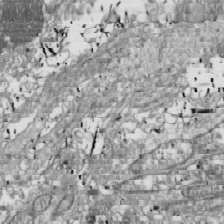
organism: Drosophila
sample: Cell division; meiosis; drosophila spermatocytes